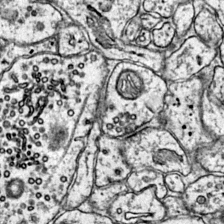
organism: Mouse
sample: Primary visual cortex